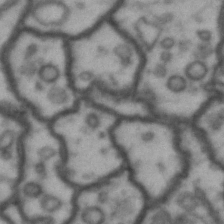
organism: Drosophila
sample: Brain